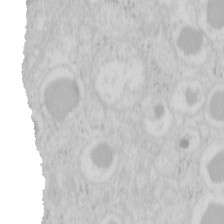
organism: Mouse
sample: Pancreas